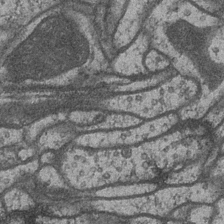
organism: Drosophila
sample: Optic medulla